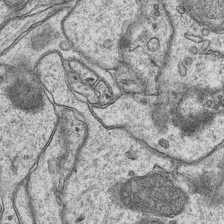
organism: Mouse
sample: CA1 Hippocampus